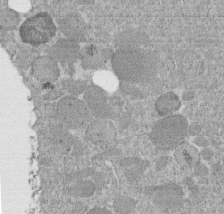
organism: C. elegans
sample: C. elegans embryo early stage